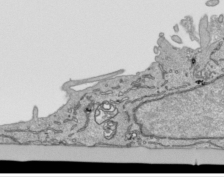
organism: Human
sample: Mitochondria in HCT116 cells